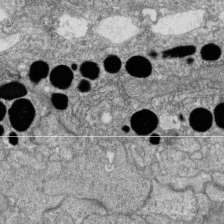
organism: Zebrafish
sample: Cilia; retinal pigment epithelium